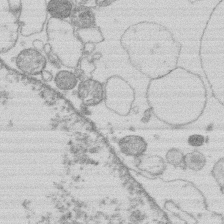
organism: Human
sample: Macrophage cells